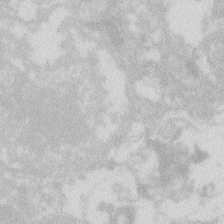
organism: Zebrafish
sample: Macrophage